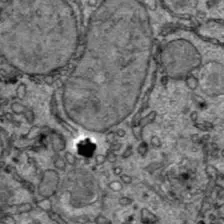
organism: C57BL Mouse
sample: Liver